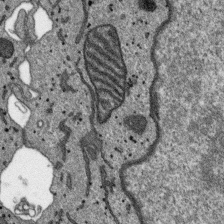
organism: Human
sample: Lung epithelial cells, uninfected (mock) control